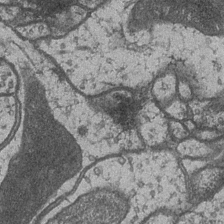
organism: Drosophila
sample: Optic medulla